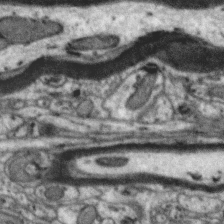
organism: Zebra finch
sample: Brain